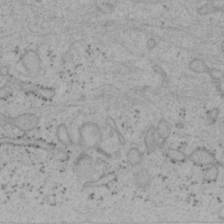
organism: Human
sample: HeLa cells